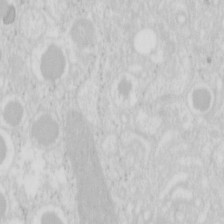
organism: Mouse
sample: Pancreas